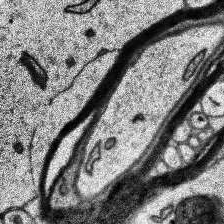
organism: Human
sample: Temporal Lobe